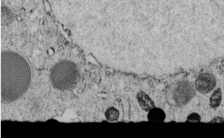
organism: C. elegans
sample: C. elegans embryo early stage